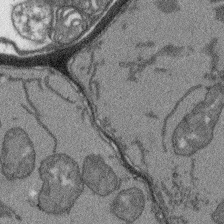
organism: Arabidopsis thaliana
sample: Root tip